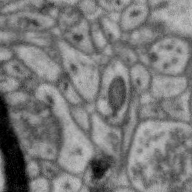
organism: Zebra finch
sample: Brain